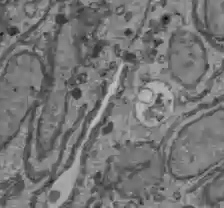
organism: C57BL Mouse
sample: Liver